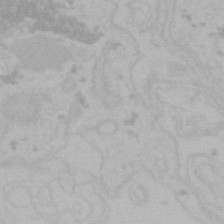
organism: Mouse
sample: Choroid plexus